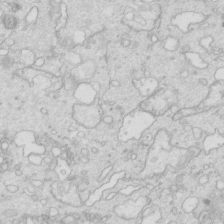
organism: Mouse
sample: Multiciliated cells